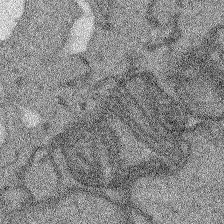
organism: Human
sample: HeLa cells